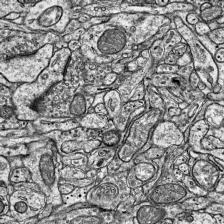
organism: Mouse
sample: Visual Cortex